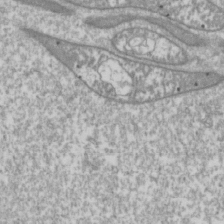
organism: Drosophila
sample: Cell division; meiosis; drosophila spermatocytes